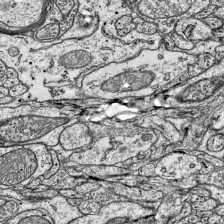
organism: Mouse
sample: Visual Cortex